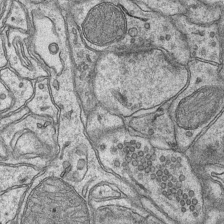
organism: Mouse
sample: CA1 Hippocampus